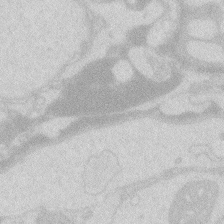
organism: Zebrafish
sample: Macrophage